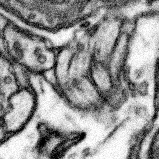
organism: Mouse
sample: Somatosensory cortex neuropil